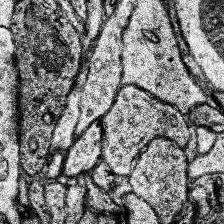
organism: Human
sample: Temporal Lobe